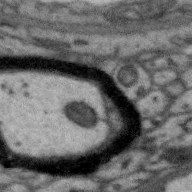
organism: Zebra finch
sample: Brain